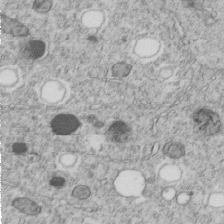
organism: C. elegans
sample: C. elegans embryo early stage